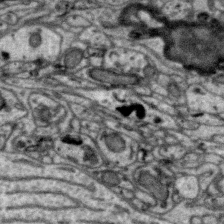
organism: Zebra finch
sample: Brain